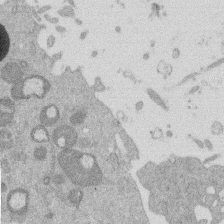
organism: Mouse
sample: Dividing mouse embryo 1 cell stage